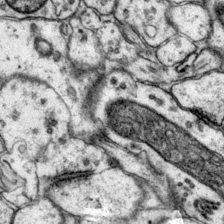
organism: Mouse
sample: Primary visual cortex